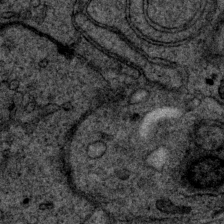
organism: P. pacificus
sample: Pharynx